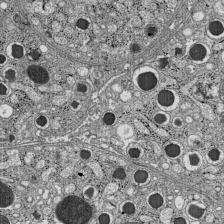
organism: C57BL Mouse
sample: Pancreatic islet